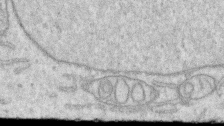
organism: Human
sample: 1205lu cells